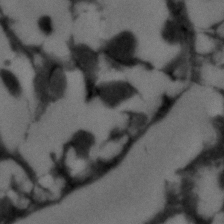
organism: C. elegans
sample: C. elegans embryo